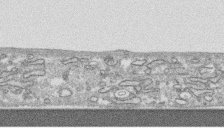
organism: Human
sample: CRL-1474